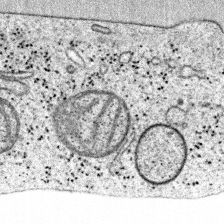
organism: Human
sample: HeLa cells